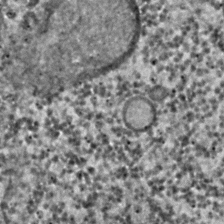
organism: C. elegans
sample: C. elegans embryo